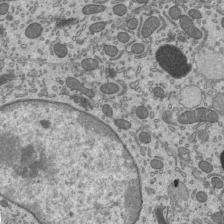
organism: Mouse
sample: Mouse epididymis efferent ductule cilia